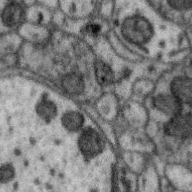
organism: Zebra finch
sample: Brain